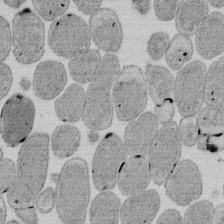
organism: E. coli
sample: Bacterial nucleoid